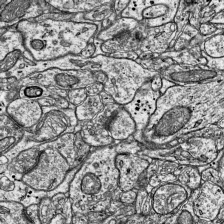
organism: Mouse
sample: Visual Cortex